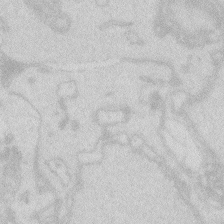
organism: Zebrafish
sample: Macrophage